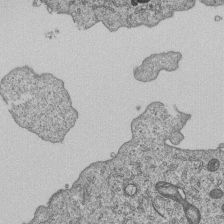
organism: Human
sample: MDA-MB-231 cells